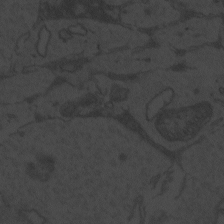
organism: Zebrafish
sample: Macrophage infected with Toxoplasma gondii